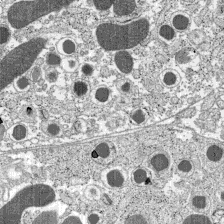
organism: C57BL Mouse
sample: Pancreatic islet